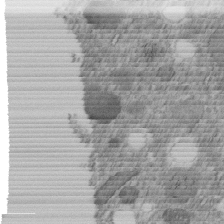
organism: C. elegans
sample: C. elegans embryo early stage